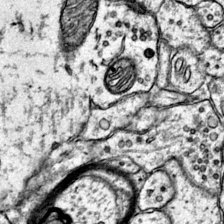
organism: Mouse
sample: Primary visual cortex